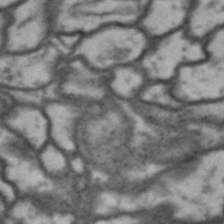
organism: Drosophila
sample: Brain